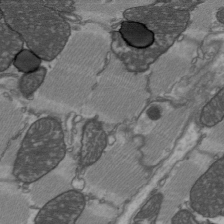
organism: C57BL Mouse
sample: Heart